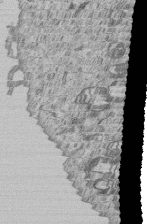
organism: Human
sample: MDA-MB-231 cells